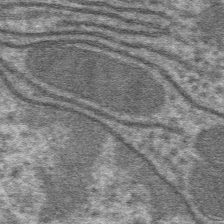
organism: Mouse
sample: Mouse hepatocytes